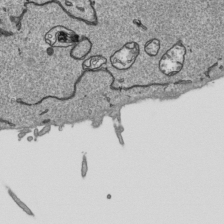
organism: Human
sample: Mitochondria in HCT116 cells